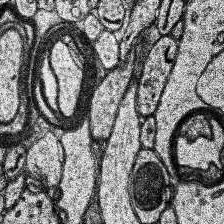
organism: Human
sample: Temporal Lobe